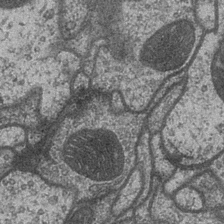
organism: Drosophila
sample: Optic medulla